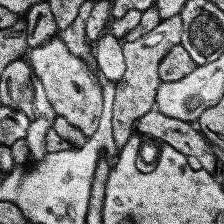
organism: Human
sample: Temporal Lobe